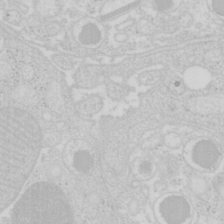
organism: Mouse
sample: Pancreas